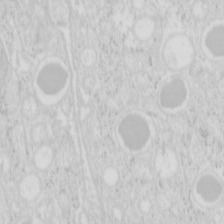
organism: Mouse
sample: Pancreas